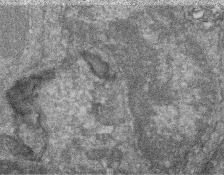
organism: Zebrafish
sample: Cilia; retinal pigment epithelium